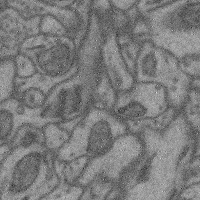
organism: Mouse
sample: Cerebral cortex